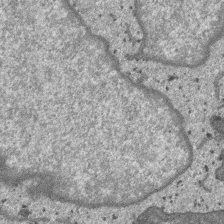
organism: Human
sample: Lung epithelial cells infected with SARS-CoV-2